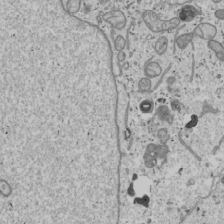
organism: Human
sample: Mitochondria in U2OS cells